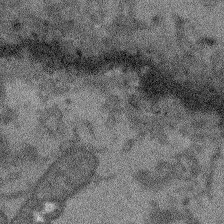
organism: Arabidopsis thaliana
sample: Root tip